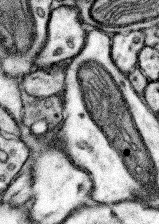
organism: Mouse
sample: Somatosensory cortex neuropil